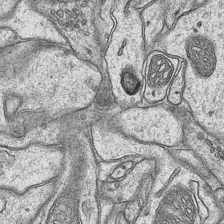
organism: Mouse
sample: CA1 Hippocampus